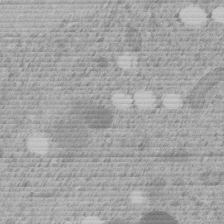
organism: C. elegans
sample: C. elegans embryo early stage